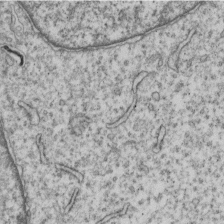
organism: Human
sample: MDA-MB-231 cells